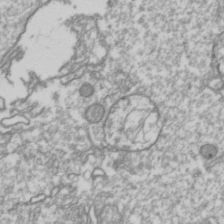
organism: Drosophila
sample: Cell division; meiosis; drosophila spermatocytes